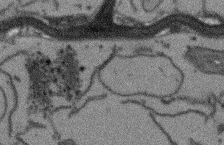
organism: Arabidopsis thaliana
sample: Root tip